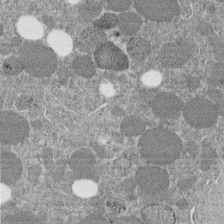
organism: C. elegans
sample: C. elegans embryo early stage